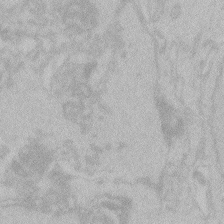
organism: Zebrafish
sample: Macrophage infected with Toxoplasma gondii